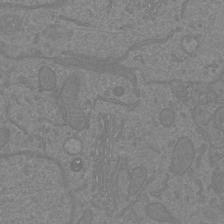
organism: Mouse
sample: Cortical neurons